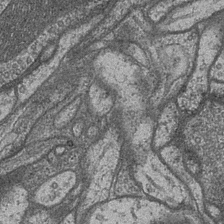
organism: Drosophila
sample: Optic medulla